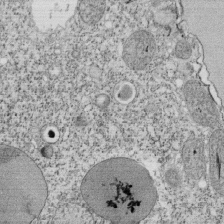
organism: Tetrahymena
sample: Cilia in tetrahymena